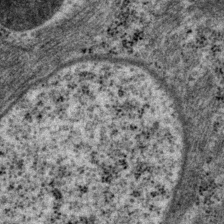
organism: P. pacificus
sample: Pharynx